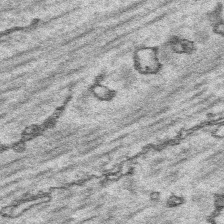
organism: Platynereis dumerilii